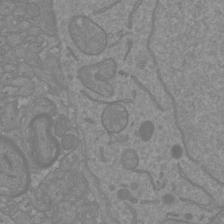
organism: Mouse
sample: Cortical neurons